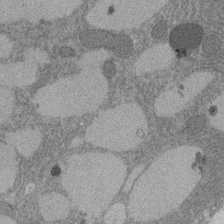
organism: Rat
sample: Salivary granule